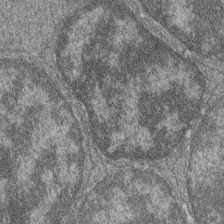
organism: Zebrafish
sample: Cilia; retinal pigment epithelium